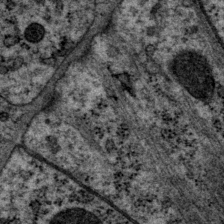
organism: P. pacificus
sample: Pharynx